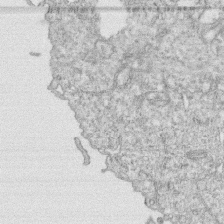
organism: Human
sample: HeLa cell HIV synapse